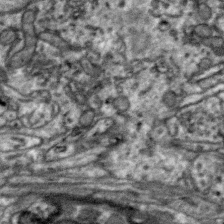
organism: Zebra finch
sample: Brain